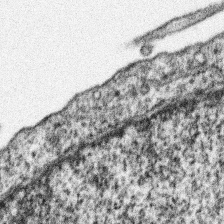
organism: Human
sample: HeLa cells